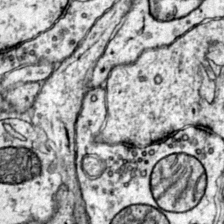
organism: Mouse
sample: Primary visual cortex